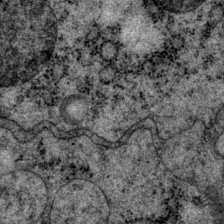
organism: P. pacificus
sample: Pharynx